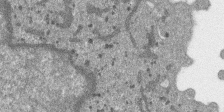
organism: Human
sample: Lung epithelial cells infected with SARS-CoV-2